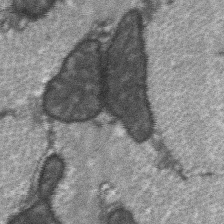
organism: C57BL Mouse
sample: Soleus